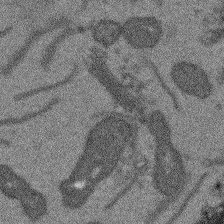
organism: Arabidopsis thaliana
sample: Root tip